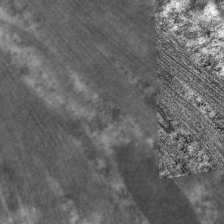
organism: C. elegans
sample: Pharynx